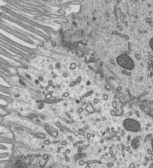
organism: Mouse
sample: Mouse epididymis efferent ductule cilia